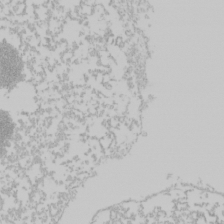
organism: Mouse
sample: Cancer cell death in ED-1 cells